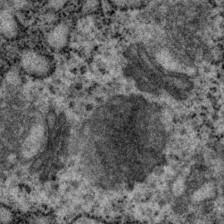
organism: P. pacificus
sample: Pharynx